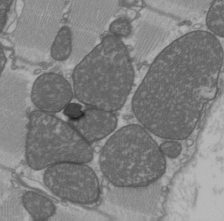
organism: C57BL Mouse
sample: Heart